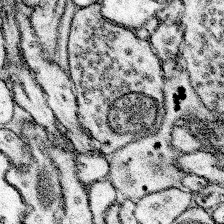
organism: Mouse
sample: Somatosensory cortex neuropil